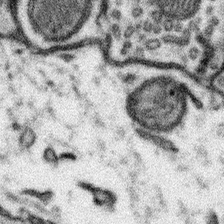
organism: Mouse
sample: Somatosensory cortex neuropil